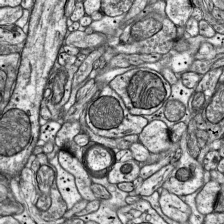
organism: Mouse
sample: Visual Cortex